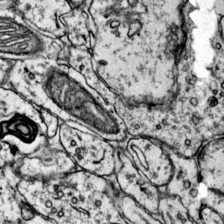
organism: Mouse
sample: Primary visual cortex